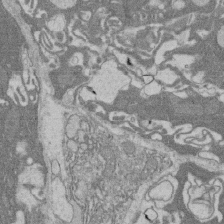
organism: Rat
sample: Salivary granule